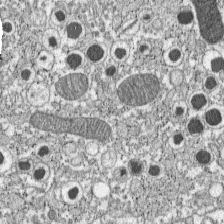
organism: C57BL Mouse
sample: Pancreatic islet